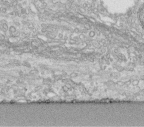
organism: Human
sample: Centriole in fibroblast cells